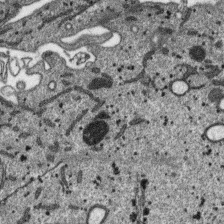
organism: Human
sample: Lung epithelial cells infected with SARS-CoV-2